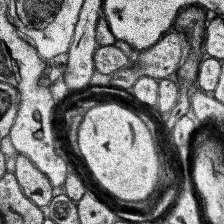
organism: Human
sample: Temporal Lobe